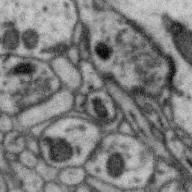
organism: Zebra finch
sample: Brain